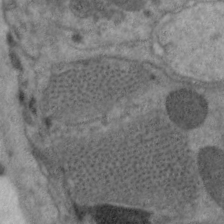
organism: C. elegans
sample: Pharynx